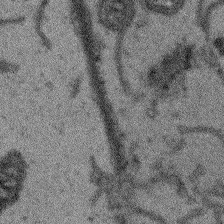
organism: Arabidopsis thaliana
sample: Root tip